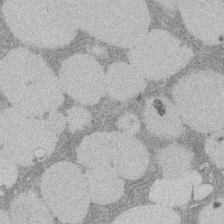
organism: Rat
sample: Salivary granule